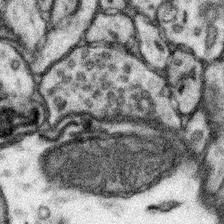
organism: Mouse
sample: Somatosensory cortex neuropil